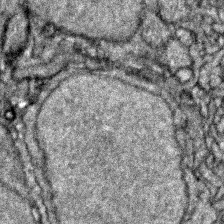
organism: Zebrafish